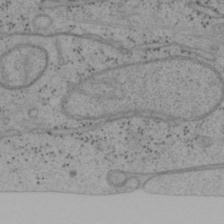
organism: Human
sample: HeLa cells